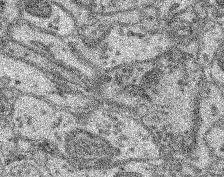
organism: Mouse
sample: Retina